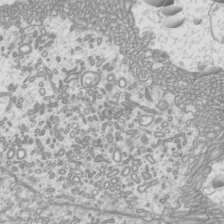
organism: Mouse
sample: Cilia; mouse epididymis